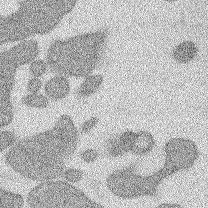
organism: Human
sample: HeLa cells